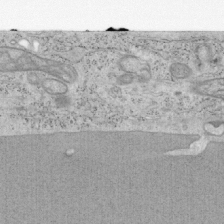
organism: Human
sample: HeLa cells